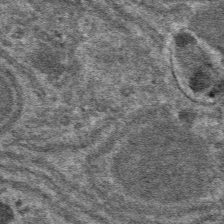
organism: Mouse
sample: Mouse hepatocytes